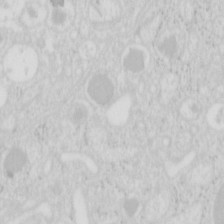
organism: Mouse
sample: Pancreas